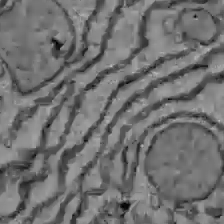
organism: C57BL Mouse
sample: Liver